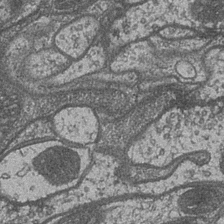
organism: Drosophila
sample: Optic medulla